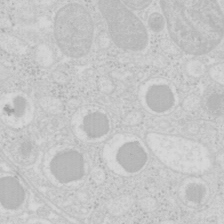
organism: Mouse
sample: Pancreas